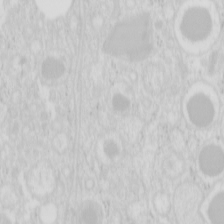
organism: Mouse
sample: Pancreas